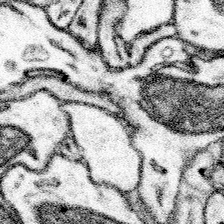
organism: Mouse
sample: Somatosensory cortex neuropil